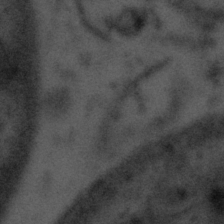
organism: Tuwongella immobilis